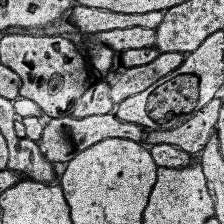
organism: Human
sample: Temporal Lobe